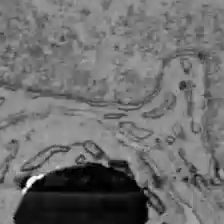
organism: C57BL Mouse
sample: Liver